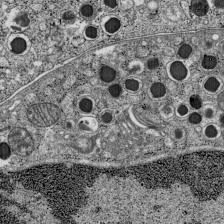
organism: C57BL Mouse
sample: Pancreatic islet